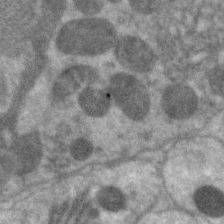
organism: C. elegans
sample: Pharynx